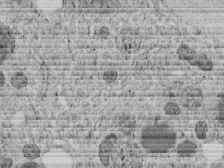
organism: C. elegans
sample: C. elegans embryo early stage